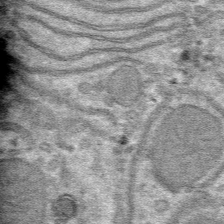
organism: Mouse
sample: Mouse hepatocytes